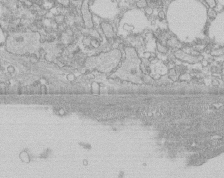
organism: Human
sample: CRL-1474